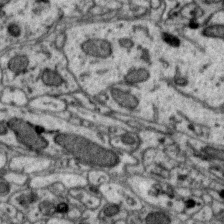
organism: Zebra finch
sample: Brain